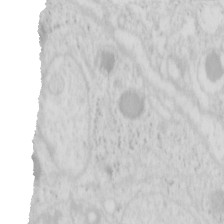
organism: Mouse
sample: Pancreas